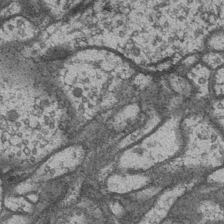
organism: Drosophila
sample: Optic medulla